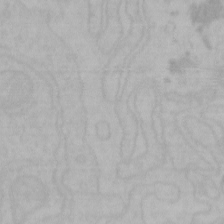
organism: Mouse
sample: Choroid plexus